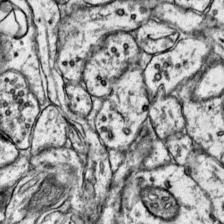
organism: Mouse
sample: Primary visual cortex